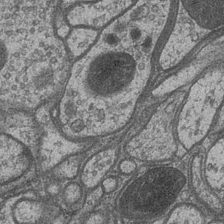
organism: Drosophila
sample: Optic medulla